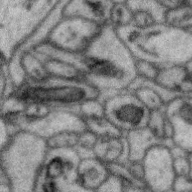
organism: Zebra finch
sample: Brain